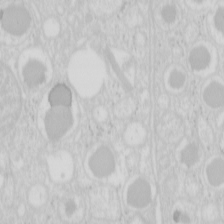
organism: Mouse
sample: Pancreas